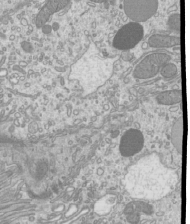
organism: Mouse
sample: Cilia; mouse epididymis